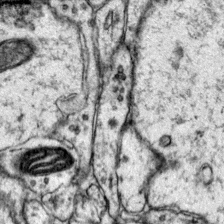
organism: Mouse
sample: Primary visual cortex